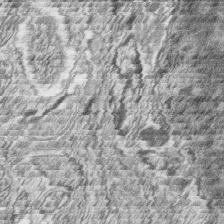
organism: Zebrafish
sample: synaptic ribbons in rod cells and cone cells